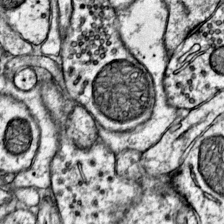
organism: Mouse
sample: Primary visual cortex